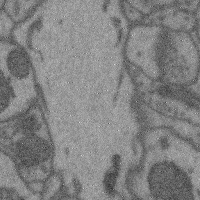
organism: Mouse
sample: Cerebral cortex